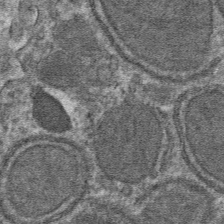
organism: Mouse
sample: Mouse hepatocytes